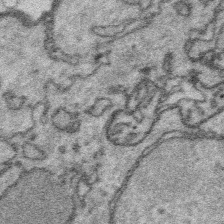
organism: Platynereis dumerilii